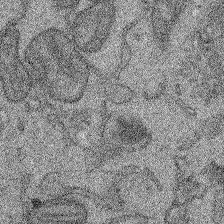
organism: Human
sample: HeLa cells